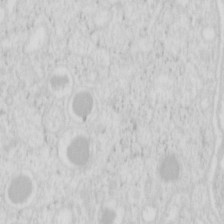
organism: Mouse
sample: Pancreas